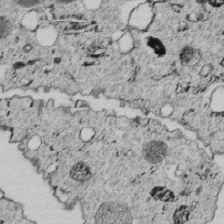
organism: C. elegans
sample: C. elegans embryo early stage